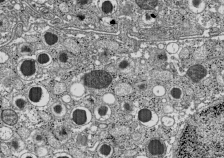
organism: C57BL Mouse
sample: Pancreatic islet